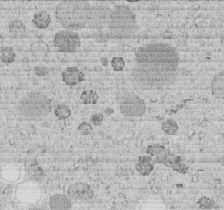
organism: C. elegans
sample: C. elegans embryo early stage